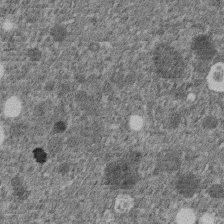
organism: C. elegans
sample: C. elegans embryo early stage